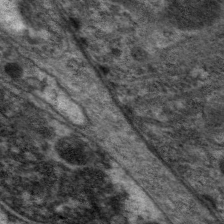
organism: C. elegans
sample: Pharynx